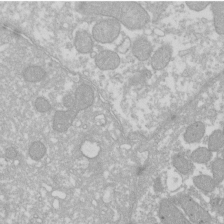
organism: Xenopus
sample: Cilia; centrioles in frog embryo cells